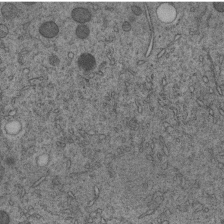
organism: C. elegans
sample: C. elegans embryo early stage